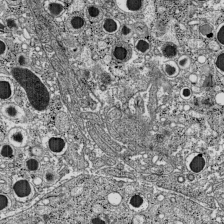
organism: C57BL Mouse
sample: Pancreatic islet